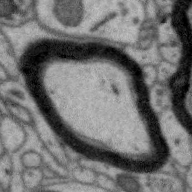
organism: Zebra finch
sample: Brain